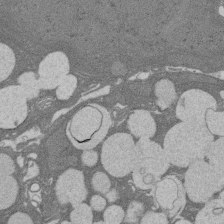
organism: Rat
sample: Salivary granule